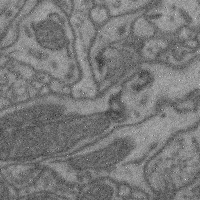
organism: Mouse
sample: Cerebral cortex